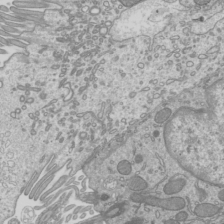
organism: Mouse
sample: Cilia; mouse epididymis